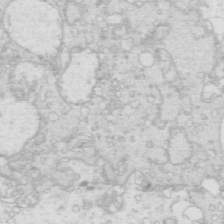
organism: Mouse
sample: Multiciliated cells